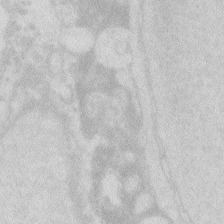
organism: Zebrafish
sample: Macrophage